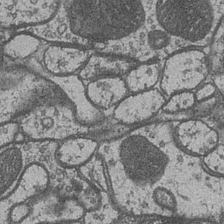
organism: Drosophila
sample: Optic medulla